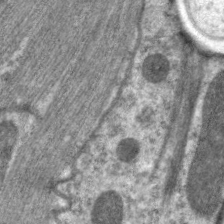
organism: C. elegans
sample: Pharynx